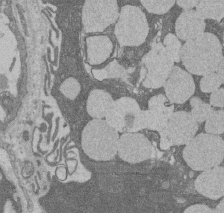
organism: Rat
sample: Salivary granule